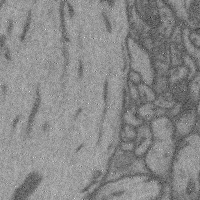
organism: Mouse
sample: Cerebral cortex